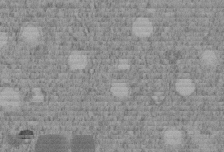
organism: C. elegans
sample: C. elegans embryo early stage